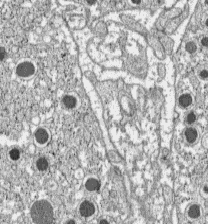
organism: C57BL Mouse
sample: Pancreatic islet